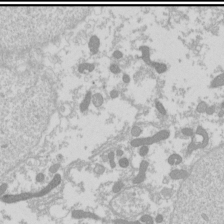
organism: Drosophila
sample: Cell division; meiosis; drosophila spermatocytes